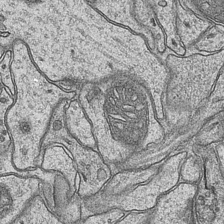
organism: Mouse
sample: CA1 Hippocampus